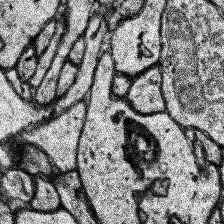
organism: Human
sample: Temporal Lobe